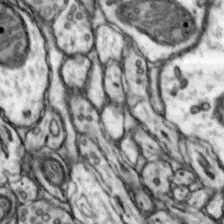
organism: Mouse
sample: Nucleus accumbens